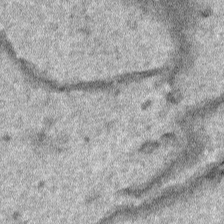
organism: Human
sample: Mitochondria in HCT116 cells